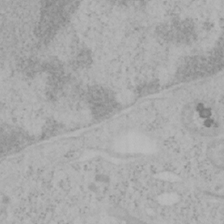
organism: Mouse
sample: OT-I killer T cells with ID8 ovarian cancer cells